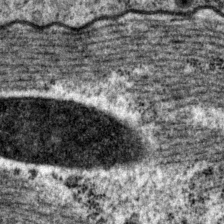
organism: P. pacificus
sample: Pharynx